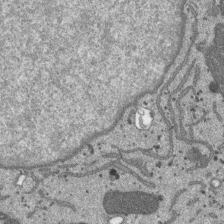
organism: Human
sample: Lung epithelial cells infected with SARS-CoV-2